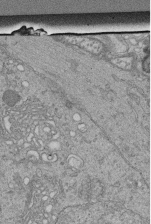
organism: Human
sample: Retinal organoid Rod and Cone cells